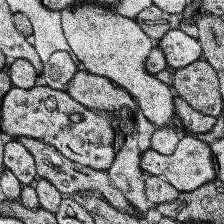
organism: Human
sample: Temporal Lobe